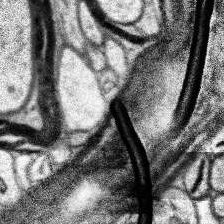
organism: Human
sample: Temporal Lobe